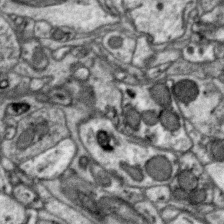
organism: Zebra finch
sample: Brain